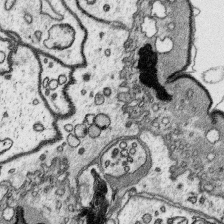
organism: Platynereis dumerilii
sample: Parapodia